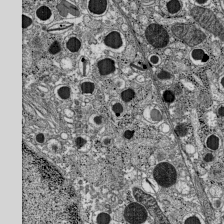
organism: C57BL Mouse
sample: Pancreatic islet